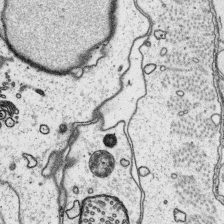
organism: Platynereis dumerilii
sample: Parapodia